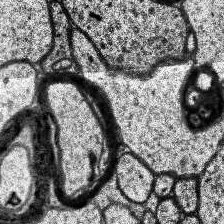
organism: Human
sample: Temporal Lobe